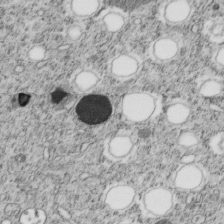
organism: C. elegans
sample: C. elegans embryo early stage